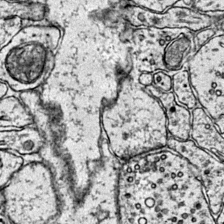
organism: Mouse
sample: Primary visual cortex